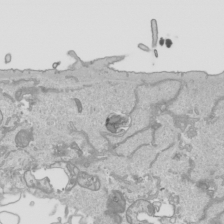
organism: Human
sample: Mitochondria in HCT116 cells